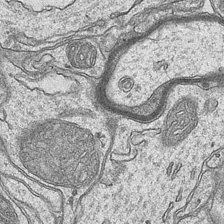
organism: Mouse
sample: CA1 Hippocampus